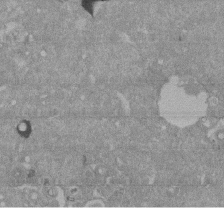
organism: Mouse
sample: ED-1 cell nuclei; centrioles